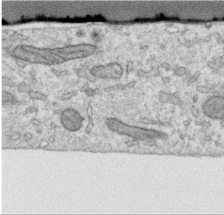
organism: Human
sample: Centriole in RPE cells